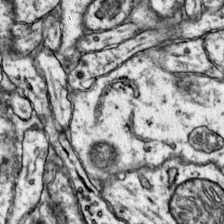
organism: Mouse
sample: Primary visual cortex